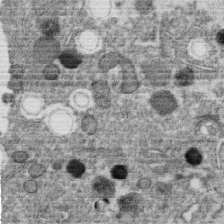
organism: C. elegans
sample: C. elegans oocyte; sperm cells